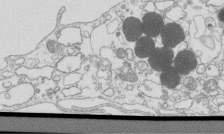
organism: Mouse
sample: Macrophages